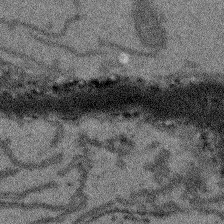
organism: Arabidopsis thaliana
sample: Root tip